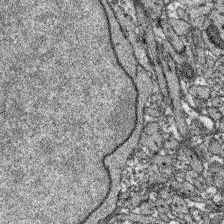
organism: Zebrafish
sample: Larval olfactory bulb